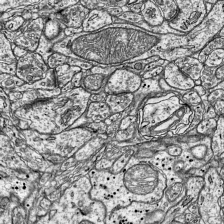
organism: Mouse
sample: Visual Cortex